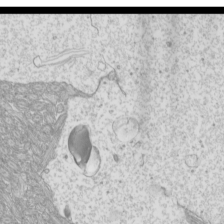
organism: Mouse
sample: Cilia; mouse epididymis